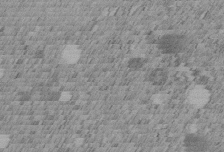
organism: C. elegans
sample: C. elegans embryo early stage